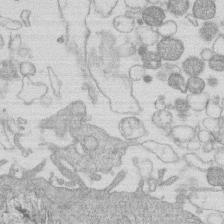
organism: Human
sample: Macrophage cells